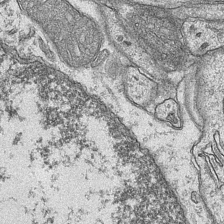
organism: Mouse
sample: CA1 Hippocampus